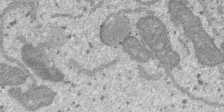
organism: Human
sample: Lung epithelial cells infected with SARS-CoV-2